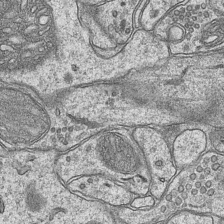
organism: Mouse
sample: CA1 Hippocampus